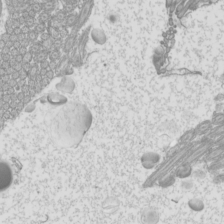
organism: Mouse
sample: Cilia; mouse epididymis